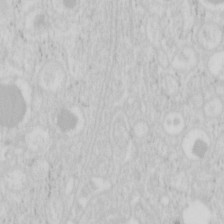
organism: Mouse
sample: Pancreas